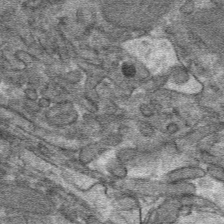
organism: Mouse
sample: Mouse hepatocytes